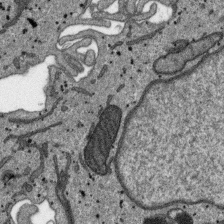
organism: Human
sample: Lung epithelial cells, uninfected (mock) control